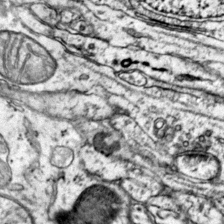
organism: Mouse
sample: Primary visual cortex